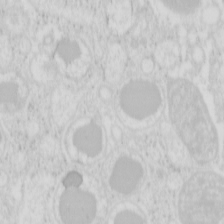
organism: Mouse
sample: Pancreas